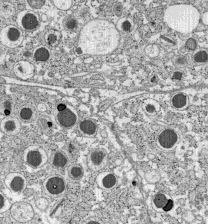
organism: C57BL Mouse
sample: Pancreatic islet